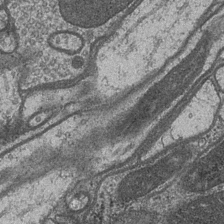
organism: Drosophila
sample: Optic medulla